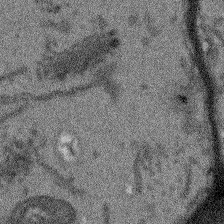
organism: Arabidopsis thaliana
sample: Root tip